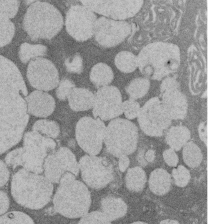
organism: Rat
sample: Salivary granule